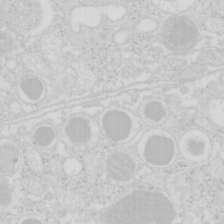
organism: Mouse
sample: Pancreas